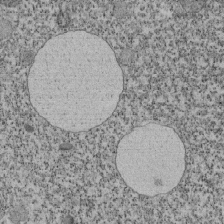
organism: Tetrahymena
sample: Cilia in tetrahymena